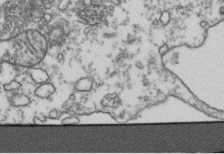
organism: Human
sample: Activated Jurkat CD4+ T cells